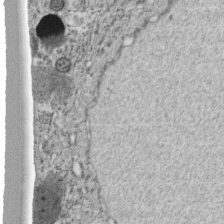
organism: C. elegans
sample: C. elegans embryo early stage